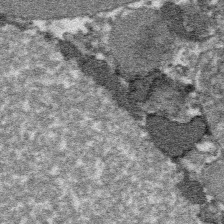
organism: Platynereis dumerilii